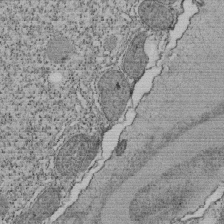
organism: Tetrahymena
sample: Cilia in tetrahymena